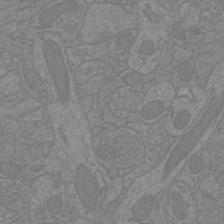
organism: Mouse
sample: Cortical neurons